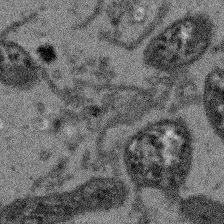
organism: Arabidopsis thaliana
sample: Root tip